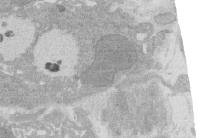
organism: Rat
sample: Salivary granule